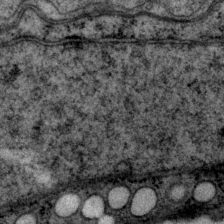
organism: P. pacificus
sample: Pharynx